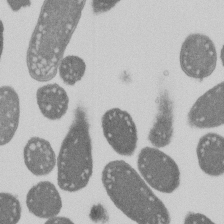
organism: E. coli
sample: Bacterial nucleoid